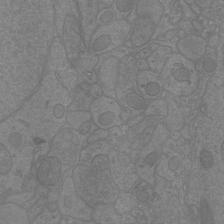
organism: Mouse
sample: Cortical neurons